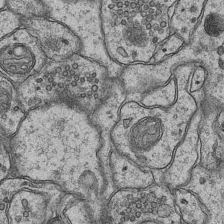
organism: Mouse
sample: CA1 Hippocampus